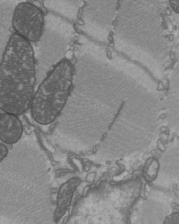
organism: C57BL Mouse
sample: Heart